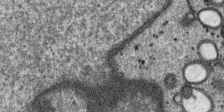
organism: Human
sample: Lung epithelial cells infected with SARS-CoV-2